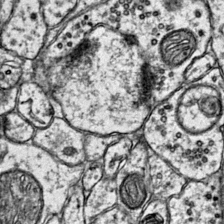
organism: Mouse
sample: Primary visual cortex